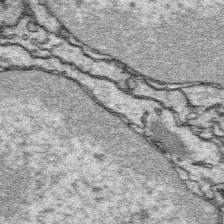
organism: Platynereis dumerilii